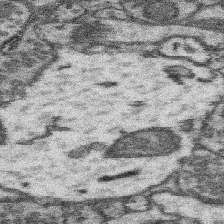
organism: Mouse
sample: Somatosensory cortex neuropil